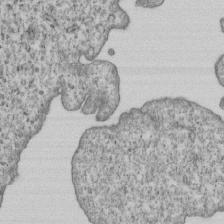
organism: Human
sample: MDA-MB-231 cells